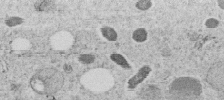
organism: C. elegans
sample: C. elegans embryo early stage